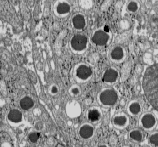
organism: C57BL Mouse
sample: Pancreatic islet